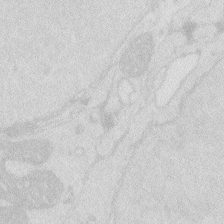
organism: Zebrafish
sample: Macrophage